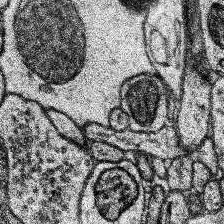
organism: Human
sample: Temporal Lobe